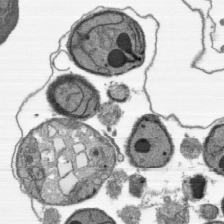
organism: Plasmodium falciparum